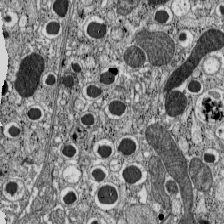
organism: C57BL Mouse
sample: Pancreatic islet